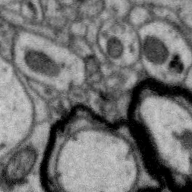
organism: Zebra finch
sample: Brain